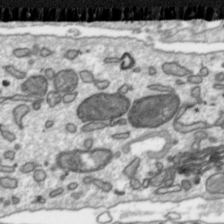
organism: Toxoplasma gondii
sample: Parasites in a vacuole inside a host cell